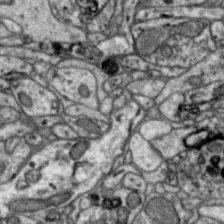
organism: Zebra finch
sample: Brain